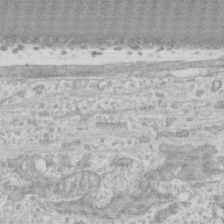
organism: Human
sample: CRL-1474